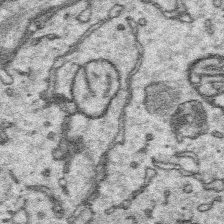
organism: Platynereis dumerilii